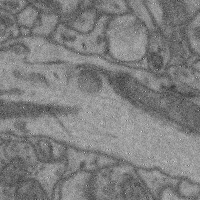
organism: Mouse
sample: Cerebral cortex